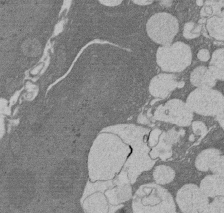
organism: Rat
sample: Salivary granule